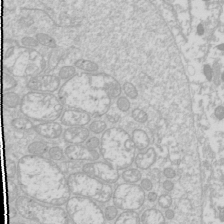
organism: Drosophila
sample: Cell division; meiosis; drosophila spermatocytes